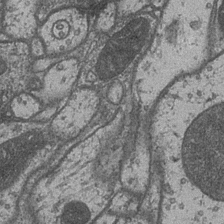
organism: Drosophila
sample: Optic medulla